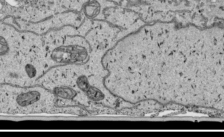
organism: Human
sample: Mitochondria in HCT116 cells